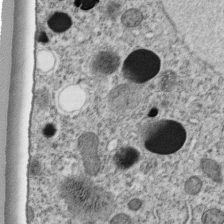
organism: C. elegans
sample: C. elegans embryo early stage